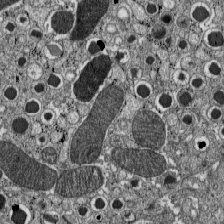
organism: C57BL Mouse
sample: Pancreatic islet